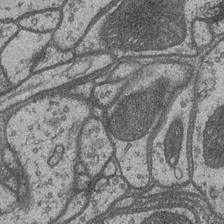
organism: Drosophila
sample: Optic medulla